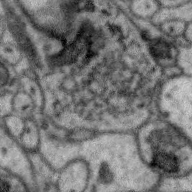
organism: Zebra finch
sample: Brain